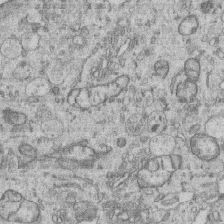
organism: Human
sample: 1205lu cells